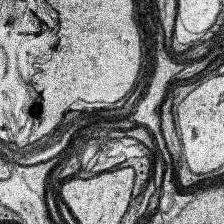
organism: Human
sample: Temporal Lobe